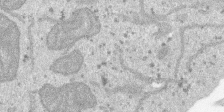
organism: Human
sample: Lung epithelial cells infected with SARS-CoV-2